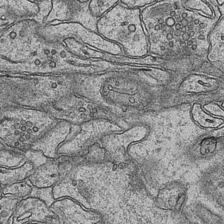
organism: Mouse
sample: CA1 Hippocampus